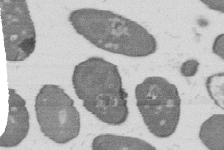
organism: B. subtilis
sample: Bacterial spore